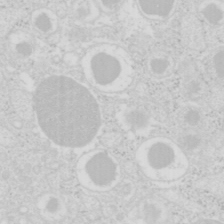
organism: Mouse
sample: Pancreas